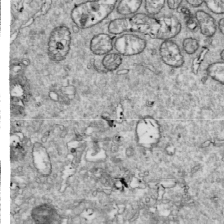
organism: Drosophila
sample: Cell division; meiosis; drosophila spermatocytes